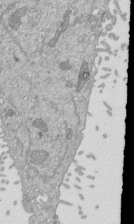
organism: Mouse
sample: ED-1 cell nuclei; centrioles